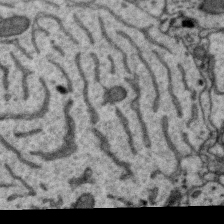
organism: Zebra finch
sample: Brain